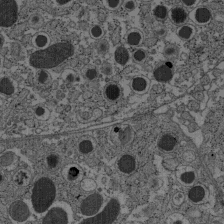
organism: C57BL Mouse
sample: Pancreatic islet